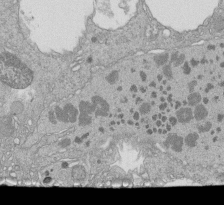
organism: Tetrahymena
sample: Cilia in tetrahymena